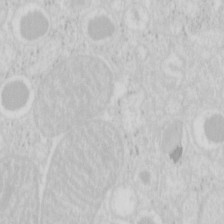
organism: Mouse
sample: Pancreas